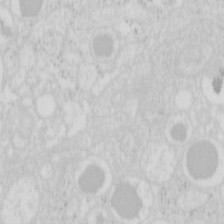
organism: Mouse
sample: Pancreas